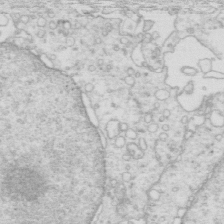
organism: Mouse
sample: Multiciliated cells